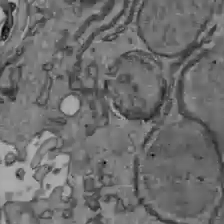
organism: C57BL Mouse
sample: Liver